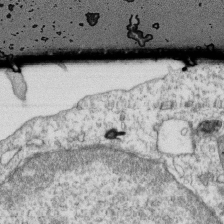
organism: Mouse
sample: Activated OT-1 CD8+ T cells